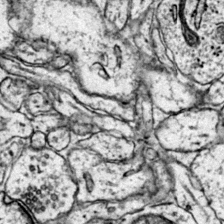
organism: Mouse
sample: Primary visual cortex